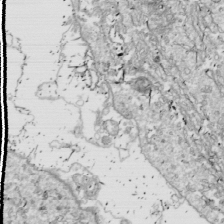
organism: Drosophila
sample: Cell division; meiosis; drosophila spermatocytes